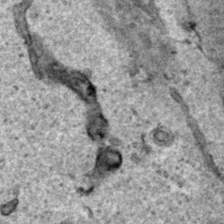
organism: Human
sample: Mitochondria in HCT116 cells